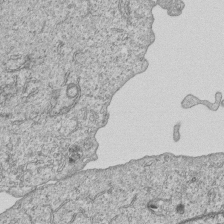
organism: Human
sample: MDA-MB-231 cells